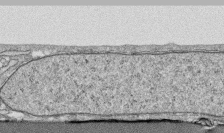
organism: Human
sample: CRL-1474